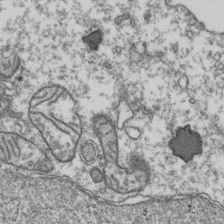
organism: Human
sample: Activated Jurkat CD4+ T cells